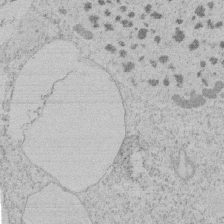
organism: Tetrahymena